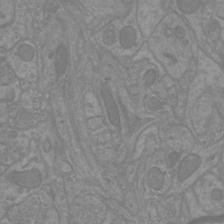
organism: Mouse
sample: Cortical neurons